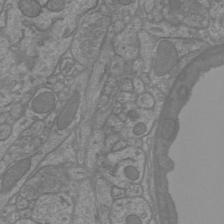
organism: Mouse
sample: Cortical neurons